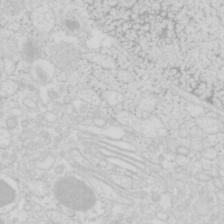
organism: Mouse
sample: Pancreas